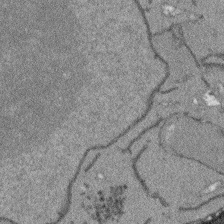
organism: Arabidopsis thaliana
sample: Root tip